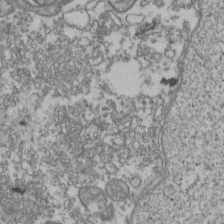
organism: Human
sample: Activated Jurkat CD4+ T cells